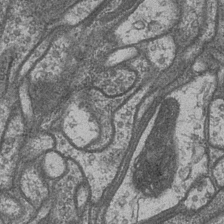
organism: Drosophila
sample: Optic medulla